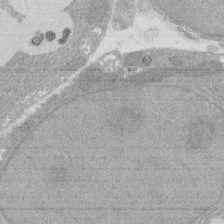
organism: Rat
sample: Salivary granule